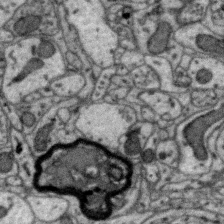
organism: Zebra finch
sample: Brain